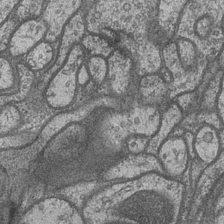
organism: Drosophila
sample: Optic medulla